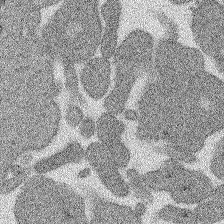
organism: Human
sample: HeLa cells